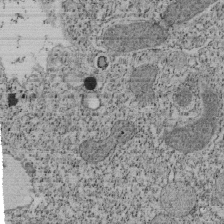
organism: Tetrahymena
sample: Cilia in tetrahymena